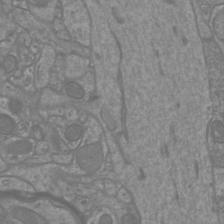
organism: Mouse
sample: Cortical neurons